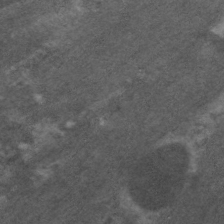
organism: C. elegans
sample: Pharynx